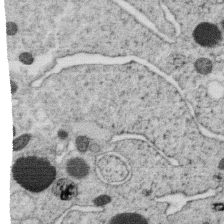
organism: C. elegans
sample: C. elegans oocyte; sperm cells